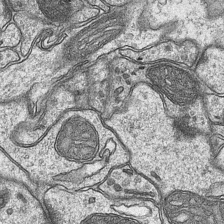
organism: Mouse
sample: CA1 Hippocampus